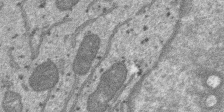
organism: Human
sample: Lung epithelial cells infected with SARS-CoV-2